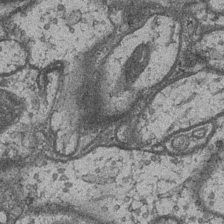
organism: Drosophila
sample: Optic medulla